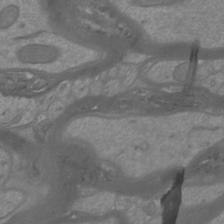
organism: Mouse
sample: Cortical neurons